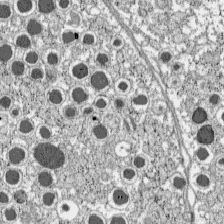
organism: C57BL Mouse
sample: Pancreatic islet